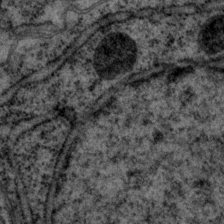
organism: P. pacificus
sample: Pharynx